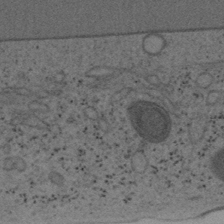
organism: Human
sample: HeLa cells